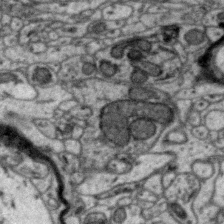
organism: Zebra finch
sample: Brain